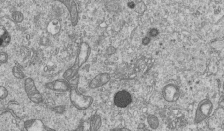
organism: Human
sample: MDA-MB-231 cells